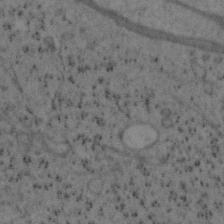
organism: Human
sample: HeLa cells